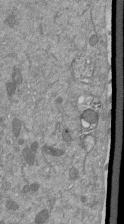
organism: Mouse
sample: ED-1 cell nuclei; centrioles